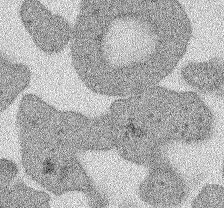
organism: Human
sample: HeLa cells